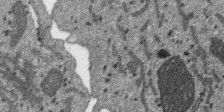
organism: Human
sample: Lung epithelial cells infected with SARS-CoV-2